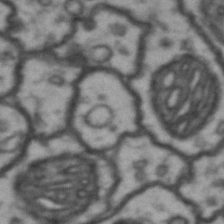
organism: Drosophila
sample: Brain